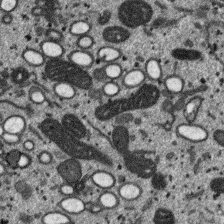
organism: Human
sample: Lung epithelial cells infected with SARS-CoV-2